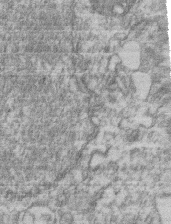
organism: Mouse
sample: T cell stromal cell synapse